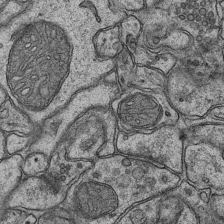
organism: Mouse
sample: CA1 Hippocampus